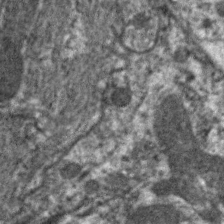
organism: C. elegans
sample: Pharynx